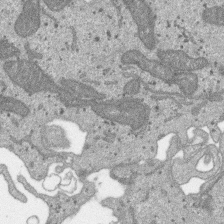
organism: Human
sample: Lung epithelial cells infected with SARS-CoV-2